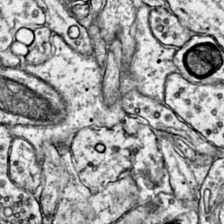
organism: Mouse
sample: Primary visual cortex